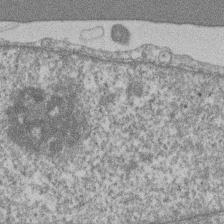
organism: Mouse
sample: T cell stromal cell synapse